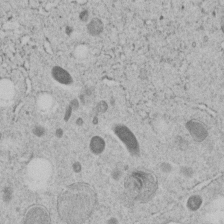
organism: C. elegans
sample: C. elegans embryo early stage